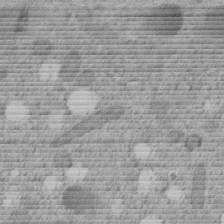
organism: C. elegans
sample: C. elegans embryo early stage